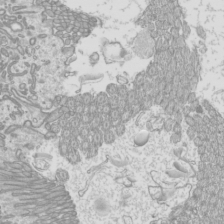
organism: Mouse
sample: Cilia; mouse epididymis